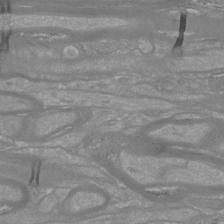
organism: Mouse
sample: Cortical neurons